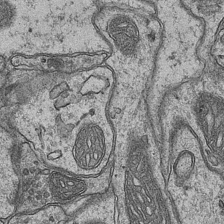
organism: Mouse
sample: CA1 Hippocampus